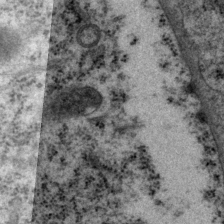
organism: P. pacificus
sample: Pharynx